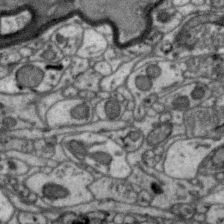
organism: Zebra finch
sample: Brain